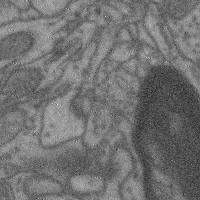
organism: Mouse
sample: Cerebral cortex